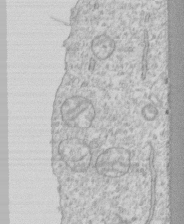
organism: Human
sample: CRL-1474